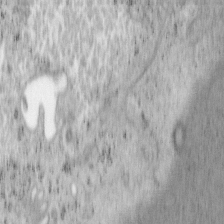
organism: Human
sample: HeLa cells